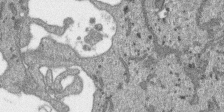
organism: Human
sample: Lung epithelial cells infected with SARS-CoV-2